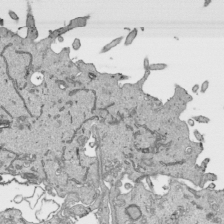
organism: Human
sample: Mitochondria in HCT116 cells